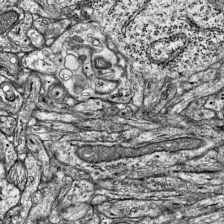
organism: Mouse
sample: Visual Cortex